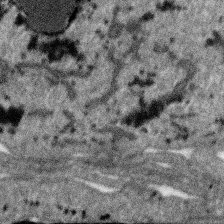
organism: Human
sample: Lung epithelial cells infected with SARS-CoV-2